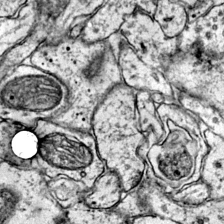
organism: Mouse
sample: Primary visual cortex